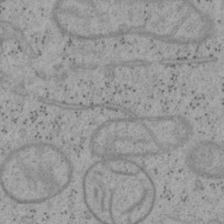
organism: Human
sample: HeLa cells